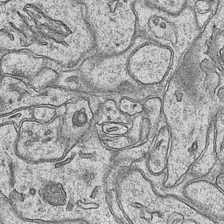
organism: Mouse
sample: CA1 Hippocampus